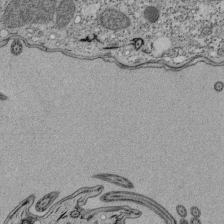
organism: Tetrahymena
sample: Cilia in tetrahymena